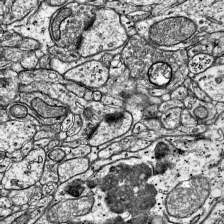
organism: Mouse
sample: Visual Cortex